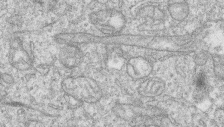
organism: Human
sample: HeLa cell HIV synapse